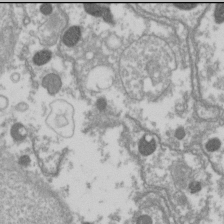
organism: Drosophila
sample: Cell division; meiosis; drosophila spermatocytes